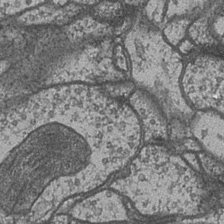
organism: Drosophila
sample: Optic medulla